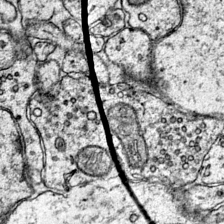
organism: Mouse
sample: Primary visual cortex